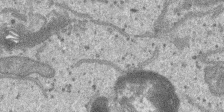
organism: Human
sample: Lung epithelial cells infected with SARS-CoV-2